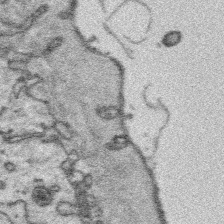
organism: Platynereis dumerilii